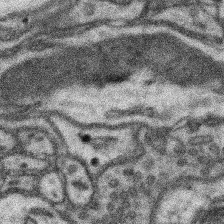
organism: Mouse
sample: Somatosensory cortex neuropil